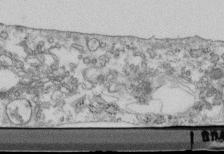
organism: Mouse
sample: Cilia; retinal pigment epithelium